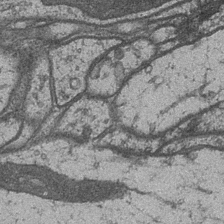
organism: Drosophila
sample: Optic medulla